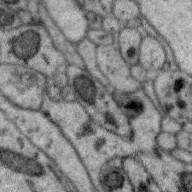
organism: Zebra finch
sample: Brain